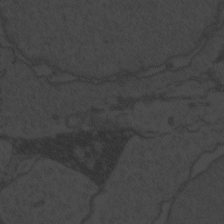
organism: Zebrafish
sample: Macrophage infected with Toxoplasma gondii